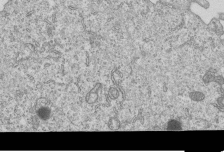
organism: Human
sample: MDA-MB-231 cells